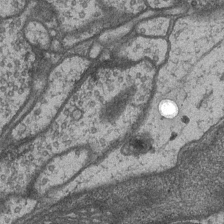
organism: Drosophila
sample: Optic medulla